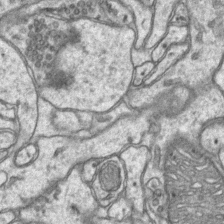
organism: Mouse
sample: CA1 Hippocampus